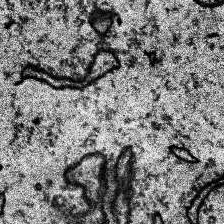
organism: Human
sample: Temporal Lobe